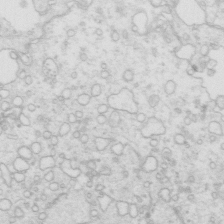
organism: Mouse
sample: Multiciliated cells